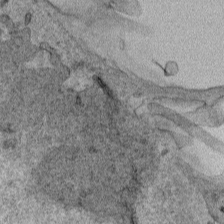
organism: Human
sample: Mitochondria in HCT116 cells